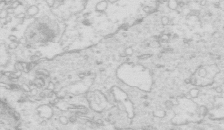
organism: Mouse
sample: Multiciliated cells